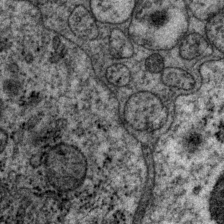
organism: P. pacificus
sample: Pharynx